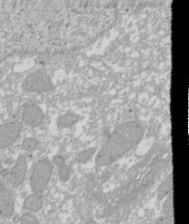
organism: Xenopus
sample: Cilia; centrioles in frog embryo cells